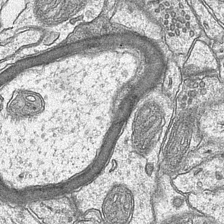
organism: Mouse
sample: CA1 Hippocampus